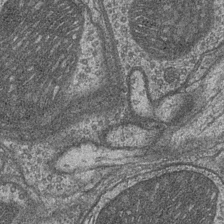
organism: Drosophila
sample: Optic medulla